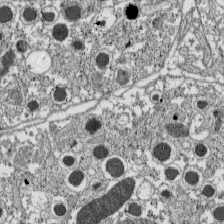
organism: C57BL Mouse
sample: Pancreatic islet